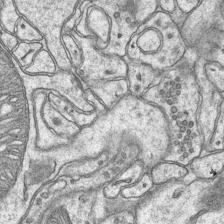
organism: Mouse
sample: CA1 Hippocampus